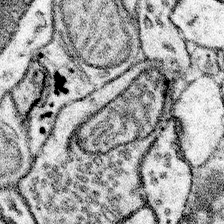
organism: Mouse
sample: Somatosensory cortex neuropil